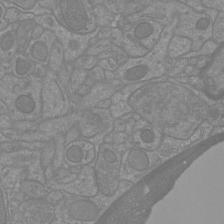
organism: Mouse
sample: Cortical neurons